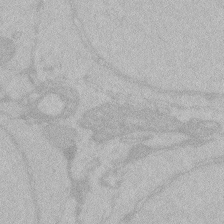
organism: Zebrafish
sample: Macrophage infected with Toxoplasma gondii